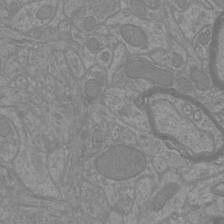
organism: Mouse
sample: Cortical neurons